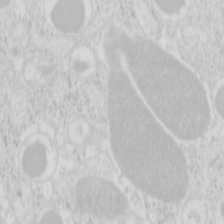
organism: Mouse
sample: Pancreas